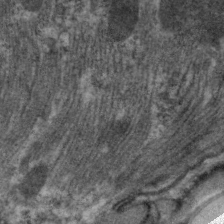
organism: C. elegans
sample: Pharynx